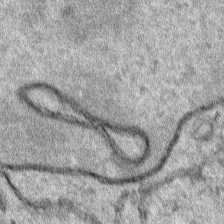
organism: Human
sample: Mitochondria in HCT116 cells